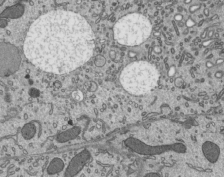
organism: Mouse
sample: Mouse epididymis efferent ductule cilia